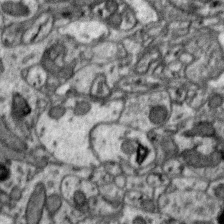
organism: Zebra finch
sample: Brain